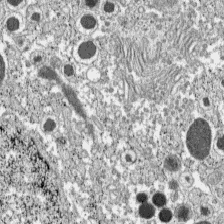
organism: C57BL Mouse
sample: Pancreatic islet